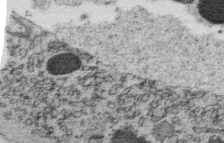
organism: C. elegans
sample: C. elegans oocyte; sperm cells